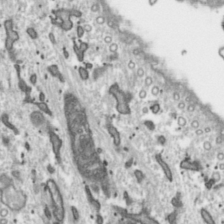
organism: Toxoplasma gondii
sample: Parasites in a vacuole inside a host cell